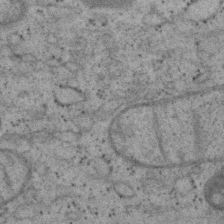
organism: Human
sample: HeLa cells